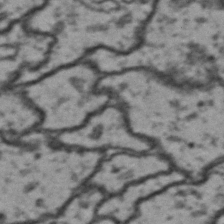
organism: Drosophila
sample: Brain